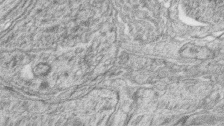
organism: Zebrafish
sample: synaptic ribbons in rod cells and cone cells